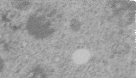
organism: C. elegans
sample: C. elegans embryo early stage